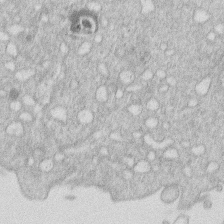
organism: Human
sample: Macrophage cells